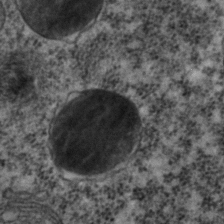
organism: C. elegans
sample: C. elegans embryo